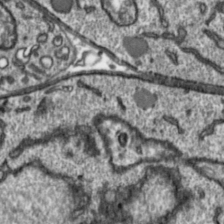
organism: Toxoplasma gondii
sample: Parasites in a vacuole inside a host cell